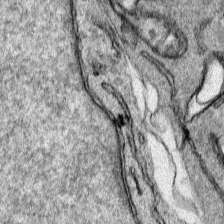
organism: Human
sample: Mitochondria in HCT116 cells